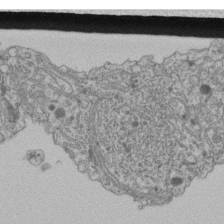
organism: Human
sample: Retinal organoid Rod and Cone cells